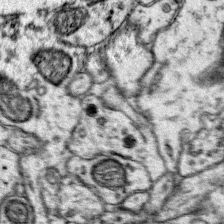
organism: Mouse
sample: Primary visual cortex